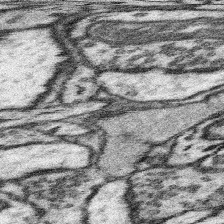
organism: Mouse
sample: Somatosensory cortex neuropil